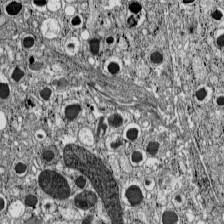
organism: C57BL Mouse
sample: Pancreatic islet